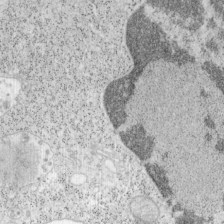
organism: Mouse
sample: OT-I killer T cells with ID8 ovarian cancer cells